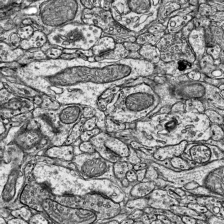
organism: Mouse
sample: Visual Cortex